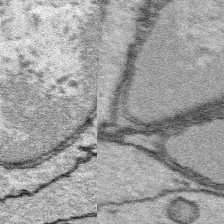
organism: Platynereis dumerilii